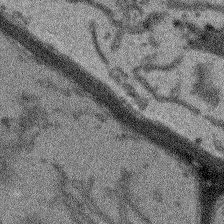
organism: Arabidopsis thaliana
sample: Root tip